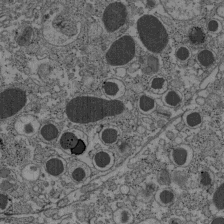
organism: C57BL Mouse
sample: Pancreatic islet